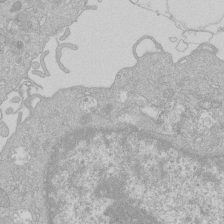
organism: Human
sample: Macrophage cells